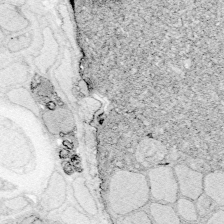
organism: Zebrafish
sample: Whole-Brain